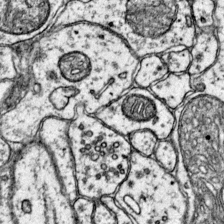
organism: Mouse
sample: Primary visual cortex